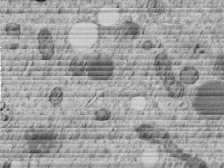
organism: C. elegans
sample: C. elegans embryo early stage